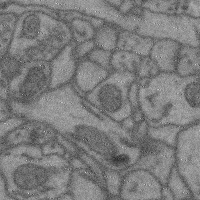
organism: Mouse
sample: Cerebral cortex